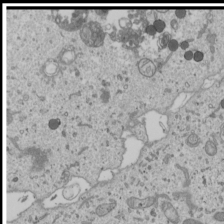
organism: Human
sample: Mitochondria in U2OS cells